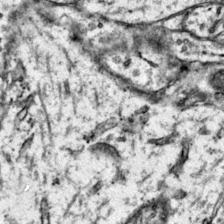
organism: Mouse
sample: Primary visual cortex